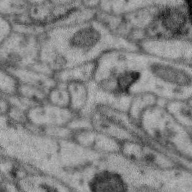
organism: Zebra finch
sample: Brain